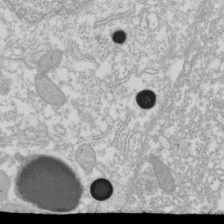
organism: Xenopus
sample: Cilia; centrioles in frog embryo cells